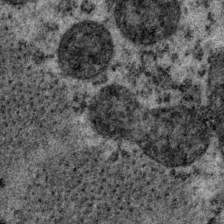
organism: P. pacificus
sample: Pharynx